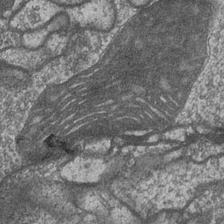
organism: Drosophila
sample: Optic medulla